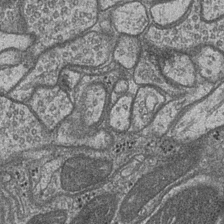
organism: Drosophila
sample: Optic medulla